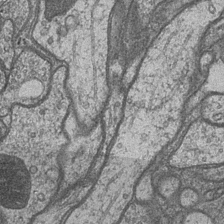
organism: Drosophila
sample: Optic medulla